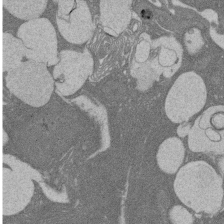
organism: Rat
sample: Salivary granule